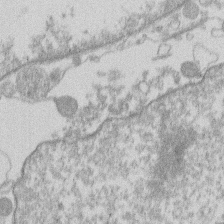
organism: Human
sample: Macrophage cells